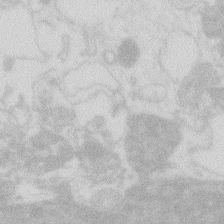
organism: Zebrafish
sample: Macrophage